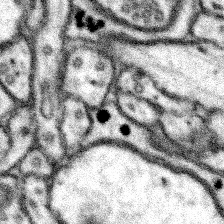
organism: Mouse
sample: Somatosensory cortex neuropil